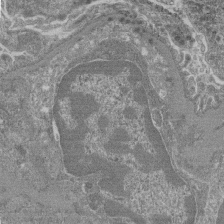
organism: Mouse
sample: Glomerulus